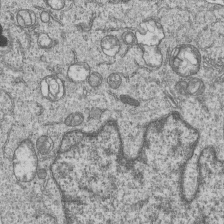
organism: Human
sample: MDA-MB-231 cells